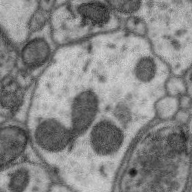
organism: Zebra finch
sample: Brain